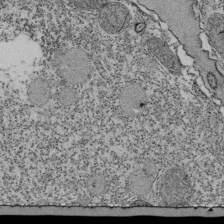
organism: Tetrahymena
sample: Cilia in tetrahymena